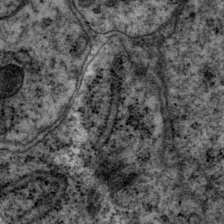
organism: P. pacificus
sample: Pharynx